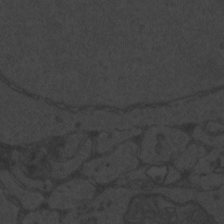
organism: Zebrafish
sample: Macrophage infected with Toxoplasma gondii